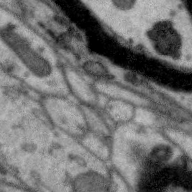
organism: Zebra finch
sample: Brain